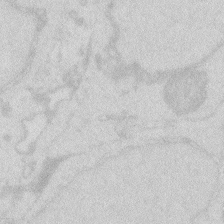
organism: Zebrafish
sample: Macrophage